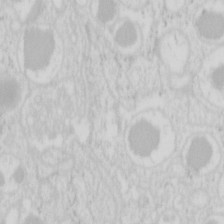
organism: Mouse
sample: Pancreas